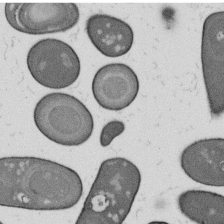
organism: B. subtilis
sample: Bacterial spore